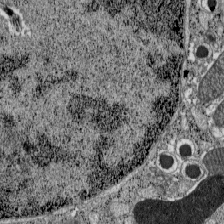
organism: C57BL Mouse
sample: Pancreatic islet